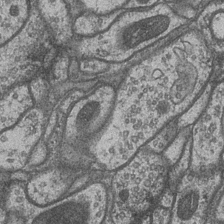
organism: Drosophila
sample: Optic medulla